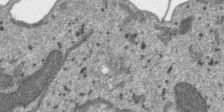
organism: Human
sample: Lung epithelial cells infected with SARS-CoV-2